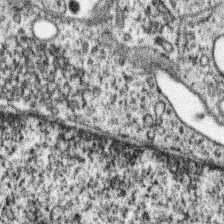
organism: Human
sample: HeLa cells